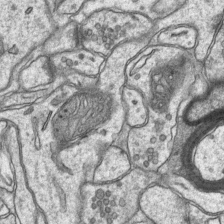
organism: Mouse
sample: CA1 Hippocampus